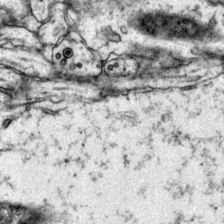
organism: Mouse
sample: Primary visual cortex